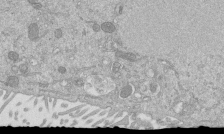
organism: Mouse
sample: ED-1 cell nuclei; centrioles